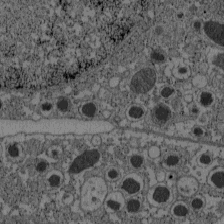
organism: C57BL Mouse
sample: Pancreatic islet